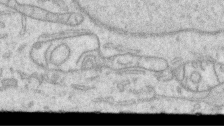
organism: Human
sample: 1205lu cells